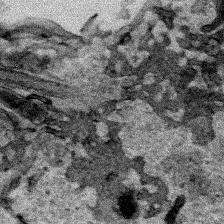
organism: Human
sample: Mitochondria in HCT116 cells